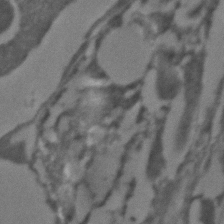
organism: C. elegans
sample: C. elegans embryo